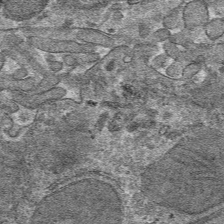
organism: Mouse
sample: Mouse hepatocytes